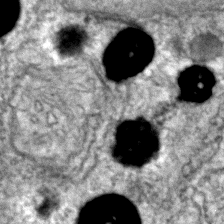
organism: Zebrafish